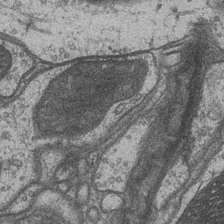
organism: Drosophila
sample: Optic medulla